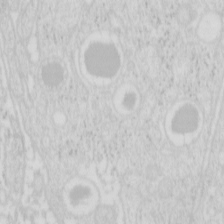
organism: Mouse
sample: Pancreas